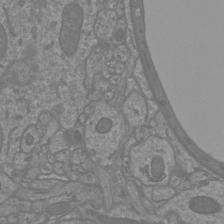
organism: Mouse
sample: Cortical neurons